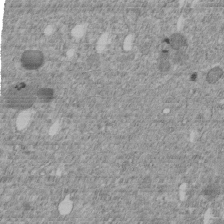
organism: C. elegans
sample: C. elegans embryo early stage